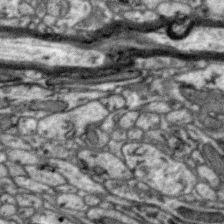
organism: Zebra finch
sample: Brain